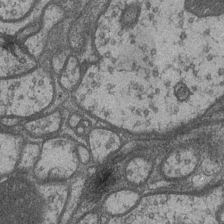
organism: Drosophila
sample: Optic medulla